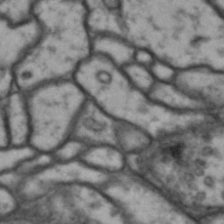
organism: Drosophila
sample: Brain